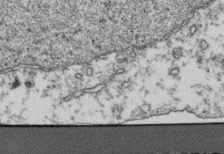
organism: Human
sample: Activated Jurkat CD4+ T cells